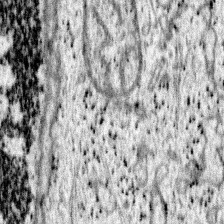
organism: Human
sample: HeLa cells